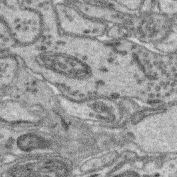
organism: Mouse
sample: Retina